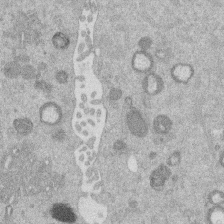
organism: Mouse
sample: Dividing mouse embryo 1 cell stage